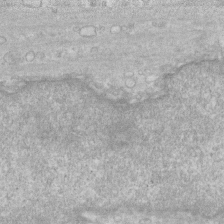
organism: Human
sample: Fibroblast cells